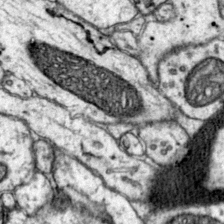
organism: Mouse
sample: Primary visual cortex